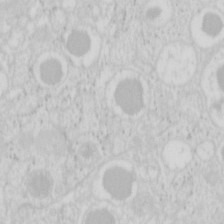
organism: Mouse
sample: Pancreas